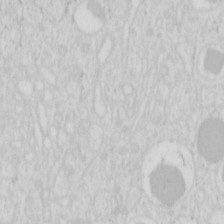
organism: Mouse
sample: Pancreas